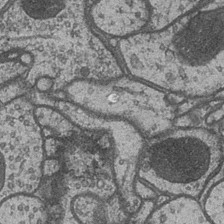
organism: Drosophila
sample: Optic medulla